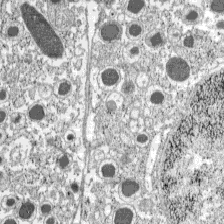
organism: C57BL Mouse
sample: Pancreatic islet